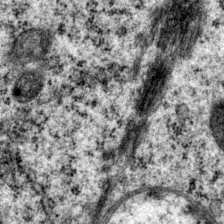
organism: P. pacificus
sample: Pharynx